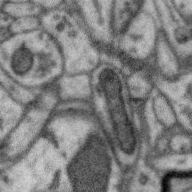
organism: Zebra finch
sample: Brain